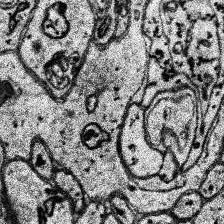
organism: Human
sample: Temporal Lobe